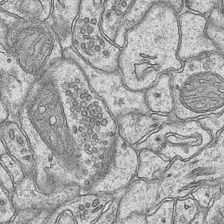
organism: Mouse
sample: CA1 Hippocampus